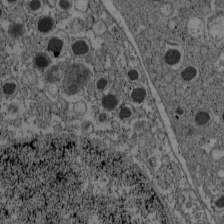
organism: C57BL Mouse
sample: Pancreatic islet